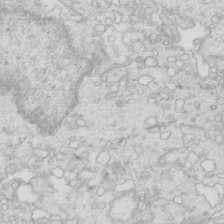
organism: Mouse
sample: Multiciliated cells